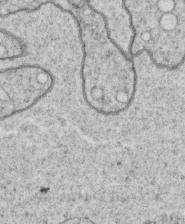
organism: C. elegans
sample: C. elegans oocyte; sperm cells